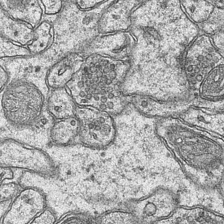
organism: Mouse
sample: CA1 Hippocampus